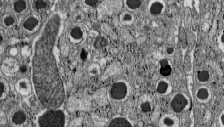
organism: C57BL Mouse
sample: Pancreatic islet